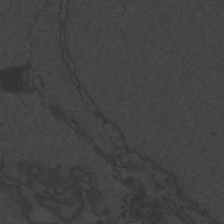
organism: Zebrafish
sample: Macrophage infected with Toxoplasma gondii